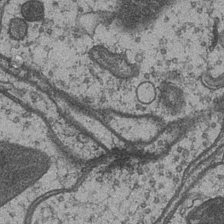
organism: Drosophila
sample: Optic medulla